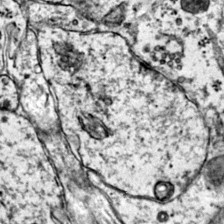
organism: Mouse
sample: Primary visual cortex